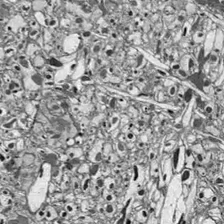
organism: Drosophila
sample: Optic lobe